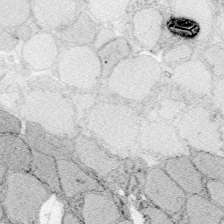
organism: Zebrafish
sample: Whole-Brain